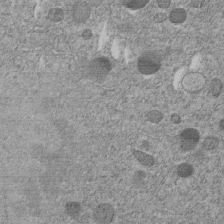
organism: C. elegans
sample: C. elegans embryo early stage